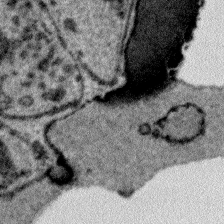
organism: Plasmodium falciparum